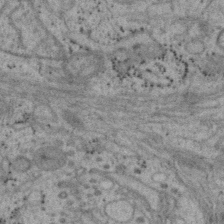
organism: Human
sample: HeLa cells